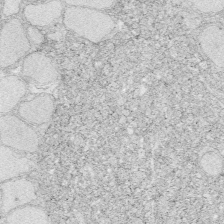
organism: Zebrafish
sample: Whole-Brain